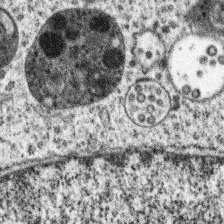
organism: Human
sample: HeLa cells